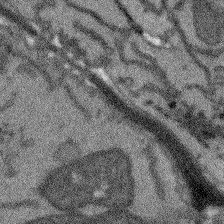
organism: Arabidopsis thaliana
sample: Root tip